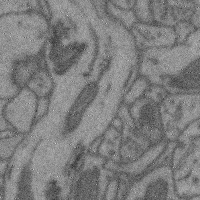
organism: Mouse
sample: Cerebral cortex